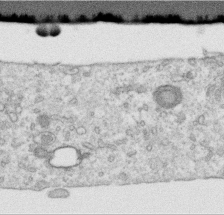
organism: Human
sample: Centriole in RPE cells